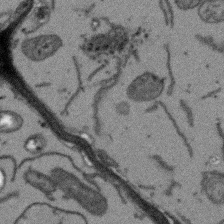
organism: Arabidopsis thaliana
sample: Root tip